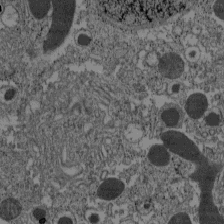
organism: C57BL Mouse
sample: Pancreatic islet